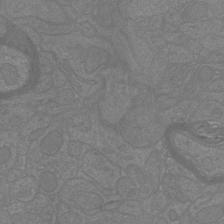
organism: Mouse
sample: Cortical neurons